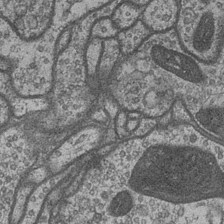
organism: Drosophila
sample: Optic medulla